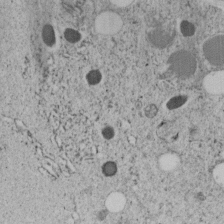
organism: C. elegans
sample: C. elegans embryo early stage